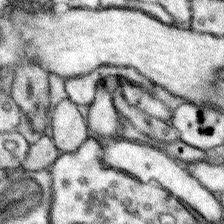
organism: Mouse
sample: Somatosensory cortex neuropil